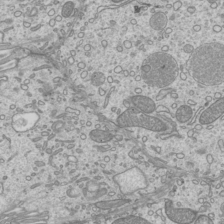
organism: Mouse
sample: Cilia; mouse epididymis